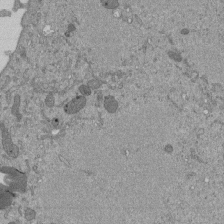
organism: Mouse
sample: ED-1 cell nuclei; centrioles